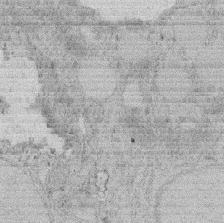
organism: Rat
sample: Salivary granule